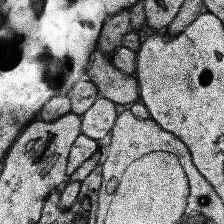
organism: Human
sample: Temporal Lobe